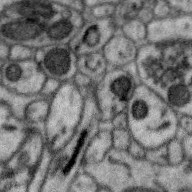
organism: Zebra finch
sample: Brain